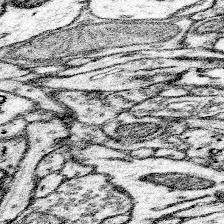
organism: Mouse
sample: Somatosensory cortex neuropil